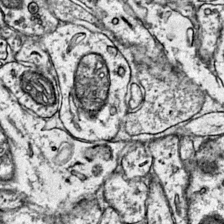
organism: Mouse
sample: Primary visual cortex